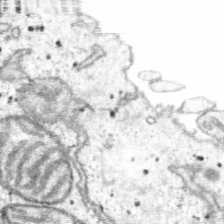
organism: Human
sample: HeLa cells